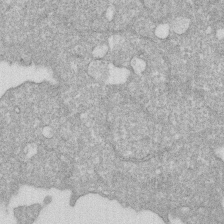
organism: Human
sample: HIV infected U937 cells